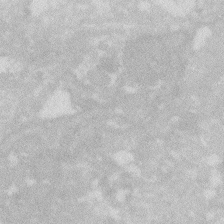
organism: Zebrafish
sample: Macrophage